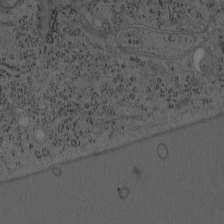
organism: Mouse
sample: OT-I killer T cells with ID8 ovarian cancer cells